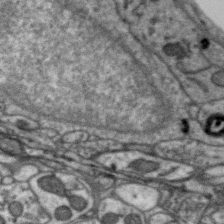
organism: Zebra finch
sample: Brain